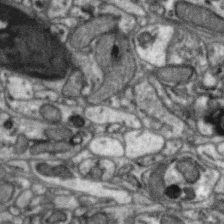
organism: Zebra finch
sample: Brain